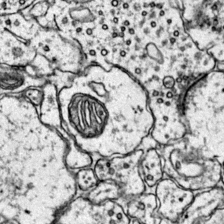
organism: Mouse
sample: Primary visual cortex